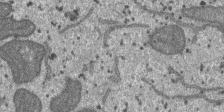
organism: Human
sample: Lung epithelial cells infected with SARS-CoV-2